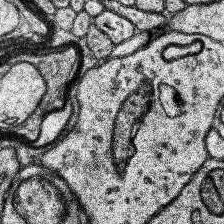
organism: Human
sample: Temporal Lobe